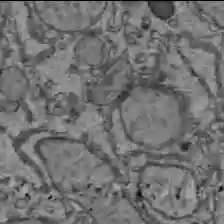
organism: C57BL Mouse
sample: Liver